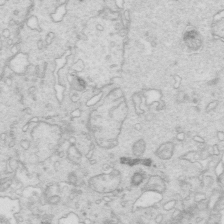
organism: Mouse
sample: Multiciliated cells